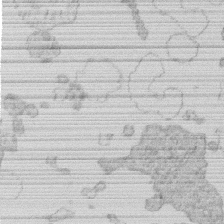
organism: Human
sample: Macrophage cells